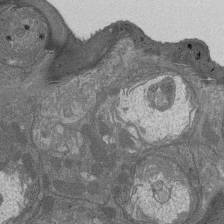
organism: Drosophila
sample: Antenna